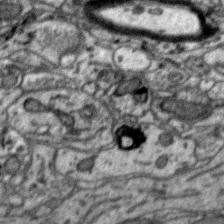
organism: Zebra finch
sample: Brain